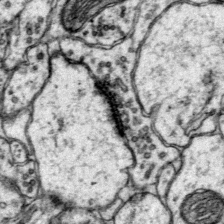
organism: Mouse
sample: Primary visual cortex